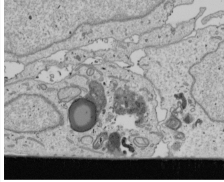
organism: Human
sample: Mitochondria in U2OS cells